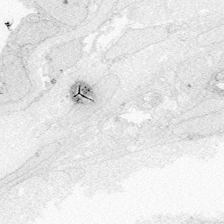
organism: Zebrafish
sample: Whole-Brain